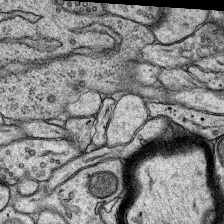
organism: Rat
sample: Hippocampus